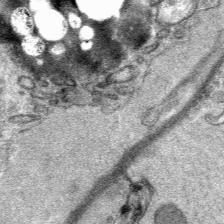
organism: Mouse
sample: Mouse Salivary gland